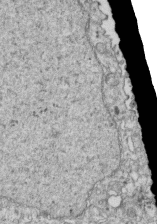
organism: Human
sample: HeLa cell HIV synapse